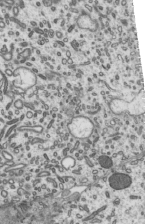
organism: Mouse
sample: Mouse epididymis efferent ductule cilia